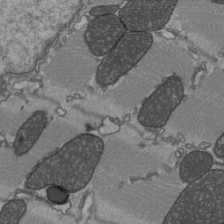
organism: C57BL Mouse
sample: Heart